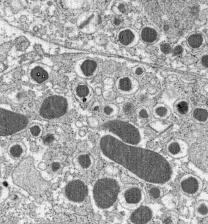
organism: C57BL Mouse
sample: Pancreatic islet